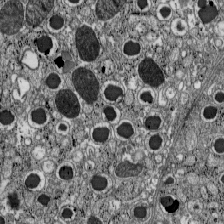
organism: C57BL Mouse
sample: Pancreatic islet